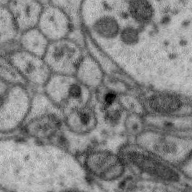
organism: Zebra finch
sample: Brain